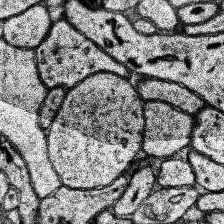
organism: Human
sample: Temporal Lobe